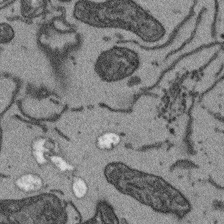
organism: Arabidopsis thaliana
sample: Root tip